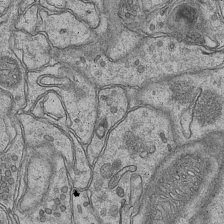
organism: Mouse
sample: CA1 Hippocampus